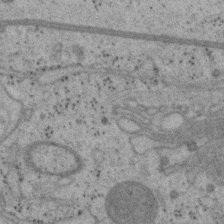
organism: Human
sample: HeLa cells